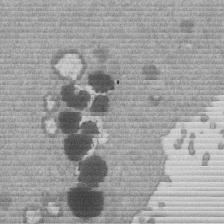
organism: Mouse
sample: Dividing mouse embryo 1 cell stage